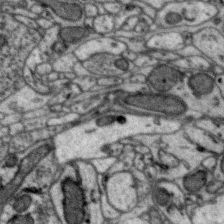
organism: Zebra finch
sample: Brain